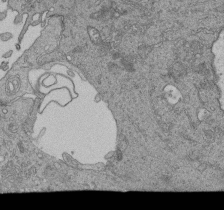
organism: Human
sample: Retinal organoid Rod and Cone cells